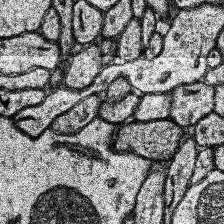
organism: Human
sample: Temporal Lobe